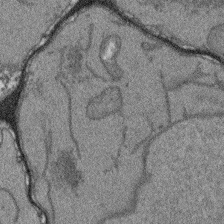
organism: Arabidopsis thaliana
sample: Root tip